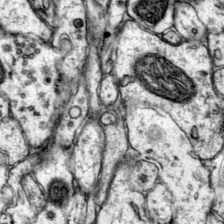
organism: Mouse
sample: Primary visual cortex